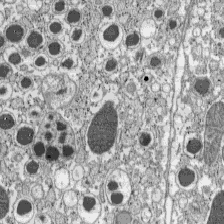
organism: C57BL Mouse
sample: Pancreatic islet